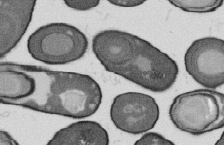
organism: B. subtilis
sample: Bacterial spore